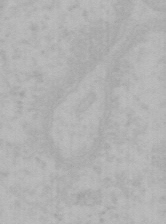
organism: Mouse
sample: Choroid plexus